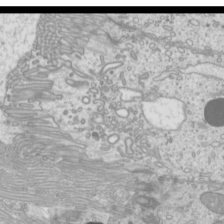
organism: Mouse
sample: Cilia; mouse epididymis